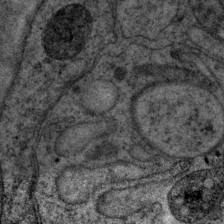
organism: P. pacificus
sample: Pharynx